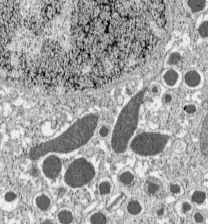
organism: C57BL Mouse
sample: Pancreatic islet